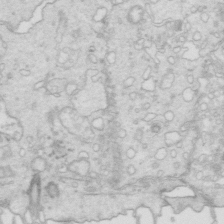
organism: Mouse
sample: Multiciliated cells